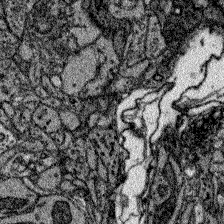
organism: Zebrafish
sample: Larval olfactory bulb